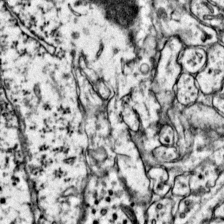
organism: Mouse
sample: Primary visual cortex